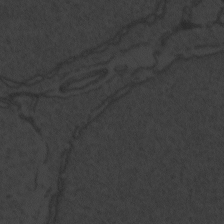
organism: Zebrafish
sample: Macrophage infected with Toxoplasma gondii